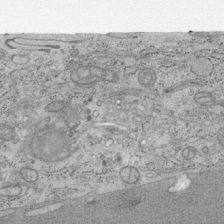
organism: Human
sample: HeLa cells